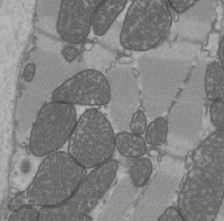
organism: C57BL Mouse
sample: Heart